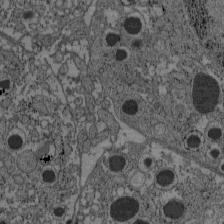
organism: C57BL Mouse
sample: Pancreatic islet